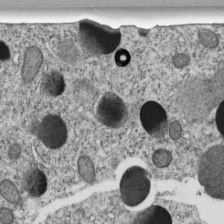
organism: C. elegans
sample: C. elegans embryo early stage